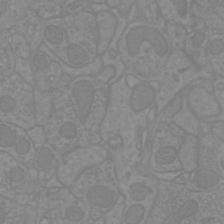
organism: Mouse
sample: Cortical neurons